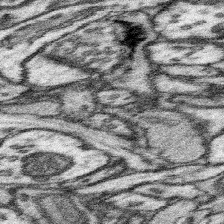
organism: Mouse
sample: Somatosensory cortex neuropil